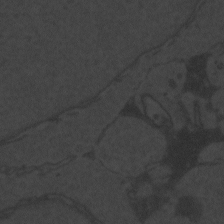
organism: Zebrafish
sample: Macrophage infected with Toxoplasma gondii